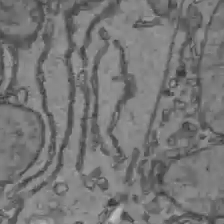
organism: C57BL Mouse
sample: Liver